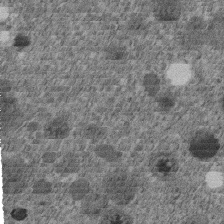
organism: C. elegans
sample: C. elegans embryo early stage